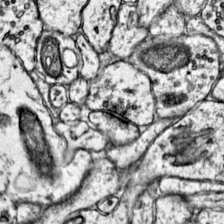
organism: Mouse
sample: Primary visual cortex